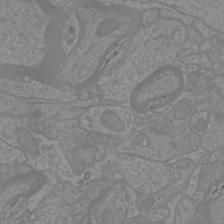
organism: Mouse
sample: Cortical neurons